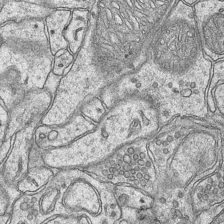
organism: Mouse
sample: CA1 Hippocampus